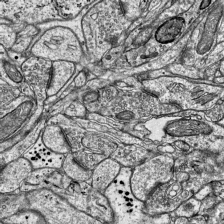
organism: Mouse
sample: Visual Cortex